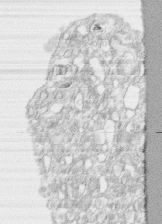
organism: Human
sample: CRL-1474